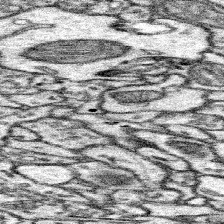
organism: Mouse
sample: Somatosensory cortex neuropil